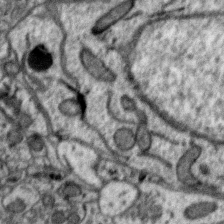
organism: Zebra finch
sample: Brain